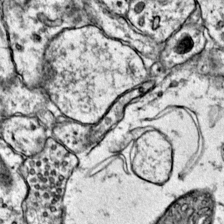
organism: Mouse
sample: Primary visual cortex